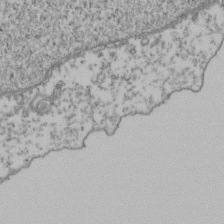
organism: Human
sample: Activated Jurkat CD4+ T cells